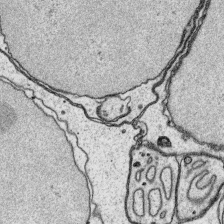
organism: Platynereis dumerilii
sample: Parapodia